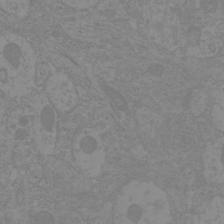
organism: Mouse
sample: Cortical neurons